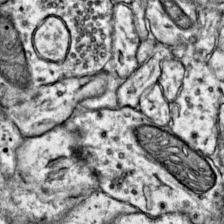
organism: Mouse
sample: Primary visual cortex